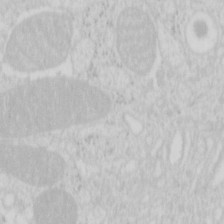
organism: Mouse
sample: Pancreas